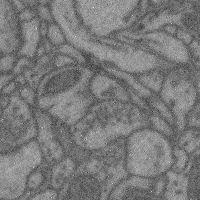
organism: Mouse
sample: Cerebral cortex